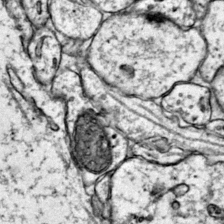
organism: Mouse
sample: Primary visual cortex